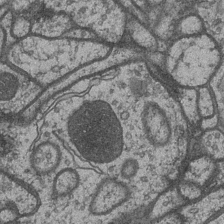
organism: Drosophila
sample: Optic medulla